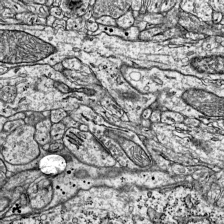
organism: Mouse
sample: Visual Cortex